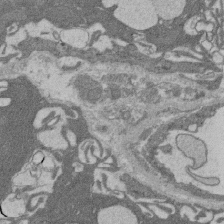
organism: Rat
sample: Salivary granule